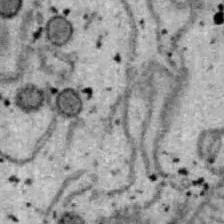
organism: Mouse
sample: Liver from an obese (ob/ob) mouse